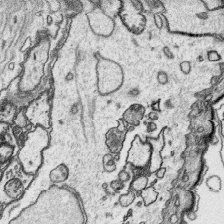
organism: Platynereis dumerilii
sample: Parapodia